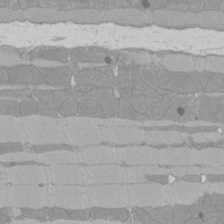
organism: Rat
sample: Left ventricle